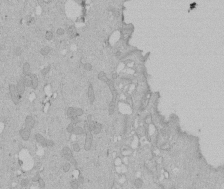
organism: Human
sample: Melanocyte Keratinocyte synapse skin construct